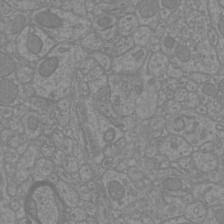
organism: Mouse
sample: Cortical neurons